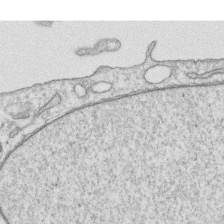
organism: Human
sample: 1205lu cells